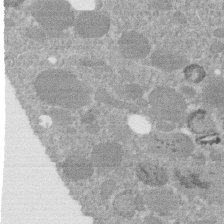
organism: C. elegans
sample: C. elegans embryo early stage